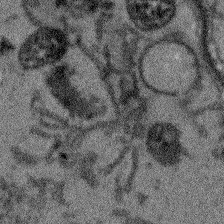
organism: Arabidopsis thaliana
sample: Root tip